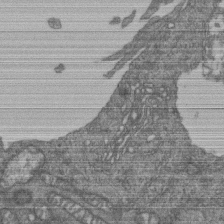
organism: Human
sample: Retinal organoid Rod and Cone cells